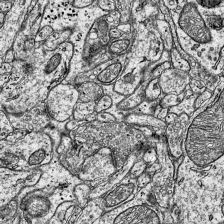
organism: Mouse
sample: Visual Cortex